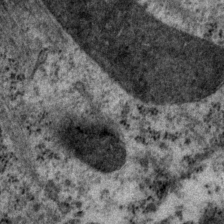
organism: P. pacificus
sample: Pharynx